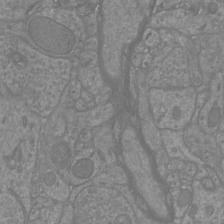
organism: Mouse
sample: Cortical neurons